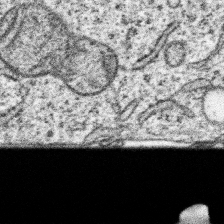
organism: Human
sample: HeLa cells